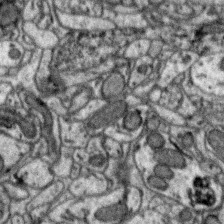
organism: Zebra finch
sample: Brain